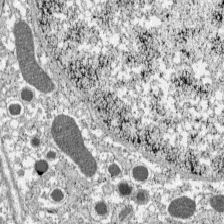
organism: C57BL Mouse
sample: Pancreatic islet